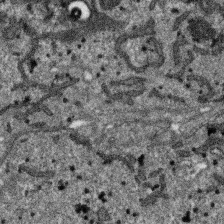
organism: Human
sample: Lung epithelial cells infected with SARS-CoV-2